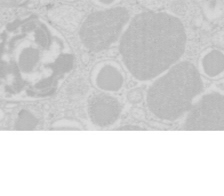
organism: Mouse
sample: Pancreas